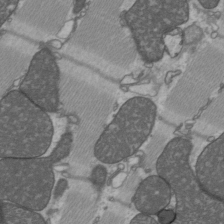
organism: C57BL Mouse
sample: Heart